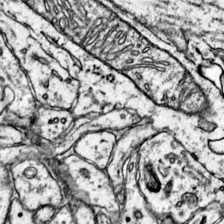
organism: Mouse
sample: Primary visual cortex